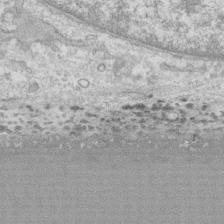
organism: Human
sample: CRL-1474